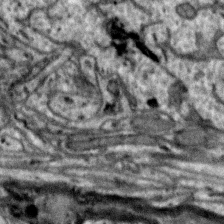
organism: Zebra finch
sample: Brain